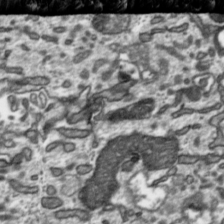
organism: Toxoplasma gondii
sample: Parasites in a vacuole inside a host cell